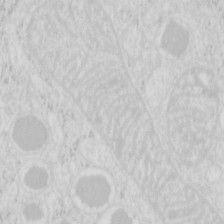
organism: Mouse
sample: Pancreas